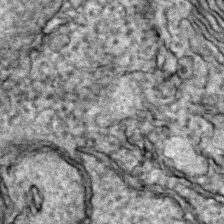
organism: Zebrafish